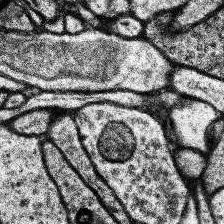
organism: Human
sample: Temporal Lobe